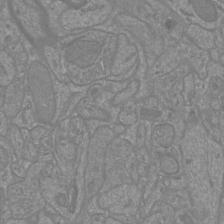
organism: Mouse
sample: Cortical neurons